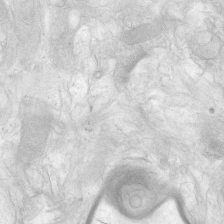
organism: Human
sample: Neocortex